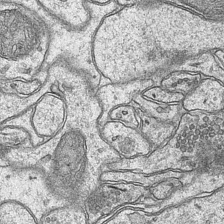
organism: Mouse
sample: CA1 Hippocampus